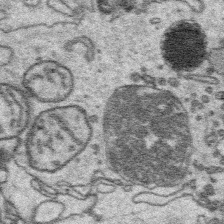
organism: Platynereis dumerilii